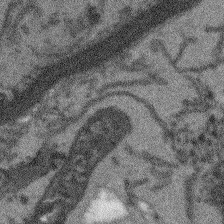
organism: Arabidopsis thaliana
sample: Root tip